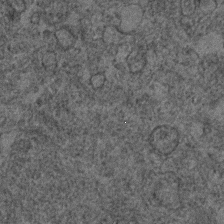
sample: Trachea